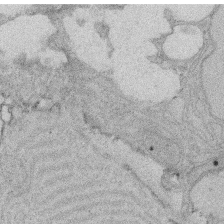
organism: Rat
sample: Salivary granule